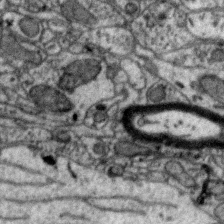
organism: Zebra finch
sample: Brain